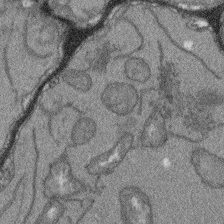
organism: Arabidopsis thaliana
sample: Root tip